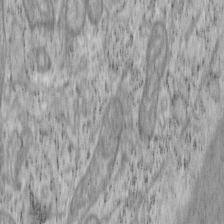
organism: Human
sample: HeLa cells